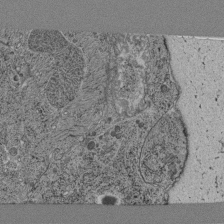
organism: C. elegans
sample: C. elegans pharynx